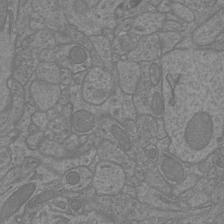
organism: Mouse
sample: Cortical neurons